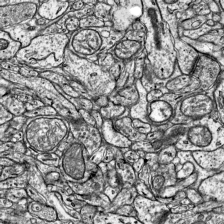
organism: Mouse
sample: Visual Cortex